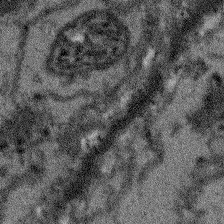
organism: Arabidopsis thaliana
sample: Root tip